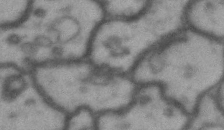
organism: Drosophila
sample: Brain